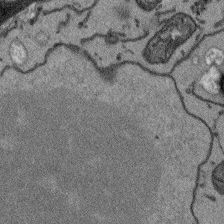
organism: Arabidopsis thaliana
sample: Root tip